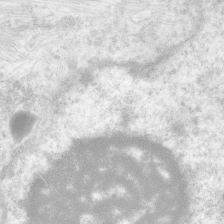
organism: Human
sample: Neocortex